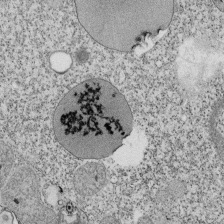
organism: Tetrahymena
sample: Cilia in tetrahymena